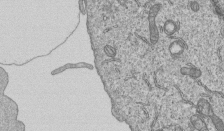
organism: Human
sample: MDA-MB-231 cells